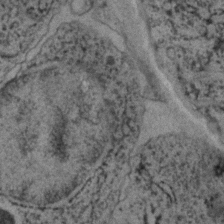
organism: C. elegans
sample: C. elegans embryo